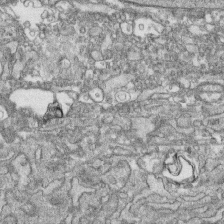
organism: Human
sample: CRL-1474